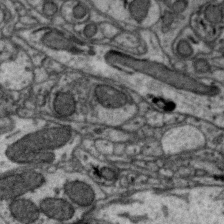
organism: Zebra finch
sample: Brain